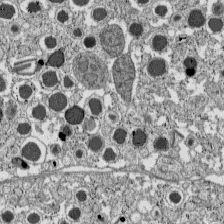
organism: C57BL Mouse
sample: Pancreatic islet